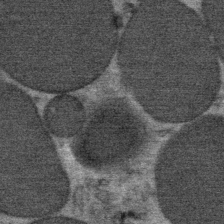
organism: Mouse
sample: Mouse Salivary gland